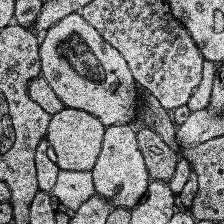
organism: Human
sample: Temporal Lobe